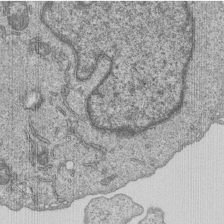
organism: Human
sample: MDA-MB-231 cells